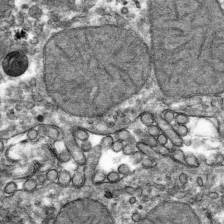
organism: Mouse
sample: Mouse hepatocytes